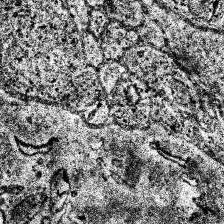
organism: Human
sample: Temporal Lobe